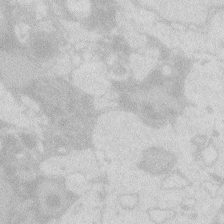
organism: Zebrafish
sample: Macrophage